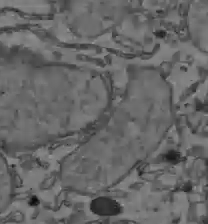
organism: C57BL Mouse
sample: Liver